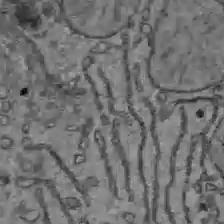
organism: C57BL Mouse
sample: Liver